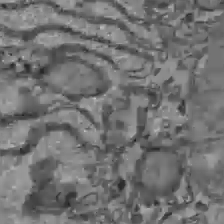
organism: C57BL Mouse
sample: Liver